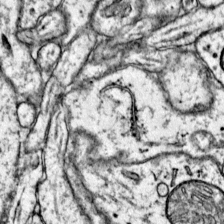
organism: Mouse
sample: Primary visual cortex